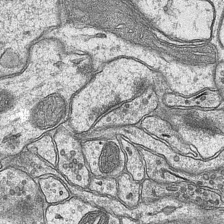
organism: Mouse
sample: CA1 Hippocampus